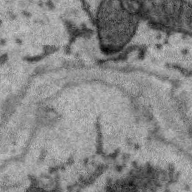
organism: Zebra finch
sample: Brain